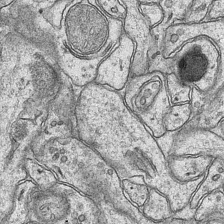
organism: Mouse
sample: CA1 Hippocampus